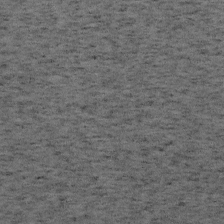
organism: Mouse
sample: OT-I killer T cells with ID8 ovarian cancer cells